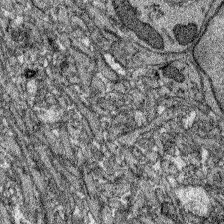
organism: Zebrafish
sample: Larval olfactory bulb